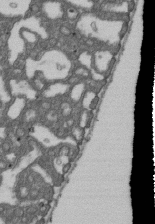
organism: Drosophila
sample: Nephrocyte